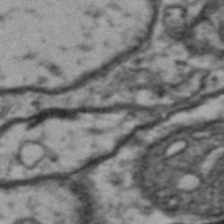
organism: Drosophila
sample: Brain